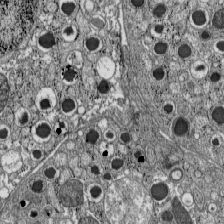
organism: C57BL Mouse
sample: Pancreatic islet